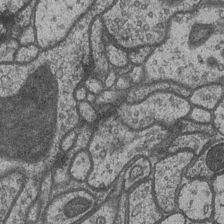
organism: Drosophila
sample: Optic medulla